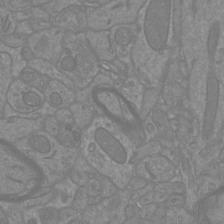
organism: Mouse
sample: Cortical neurons